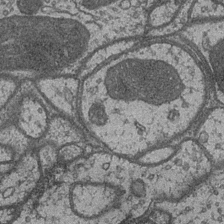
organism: Drosophila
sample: Optic medulla